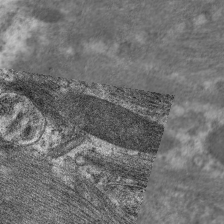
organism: C. elegans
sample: Pharynx